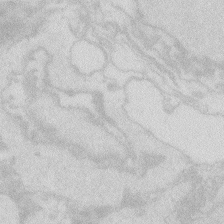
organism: Zebrafish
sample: Macrophage